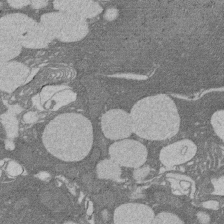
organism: Rat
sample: Salivary granule